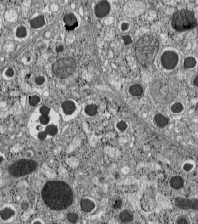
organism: C57BL Mouse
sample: Pancreatic islet